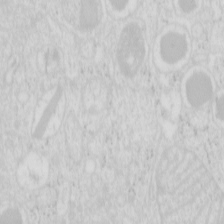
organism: Mouse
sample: Pancreas